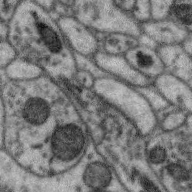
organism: Zebra finch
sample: Brain